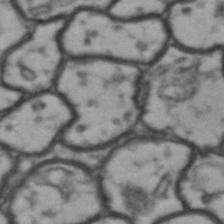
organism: Drosophila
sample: Brain